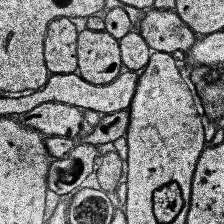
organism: Human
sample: Temporal Lobe